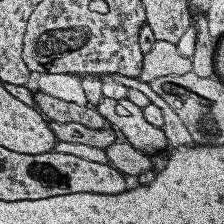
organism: Human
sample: Temporal Lobe